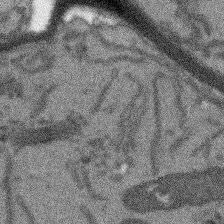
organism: Arabidopsis thaliana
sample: Root tip